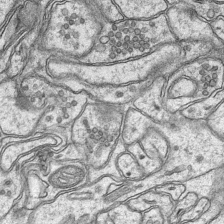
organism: Mouse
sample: CA1 Hippocampus